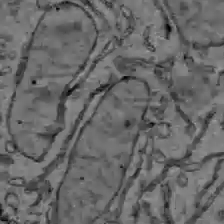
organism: C57BL Mouse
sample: Liver